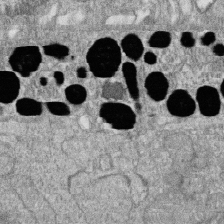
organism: Zebrafish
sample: Cilia; retinal pigment epithelium